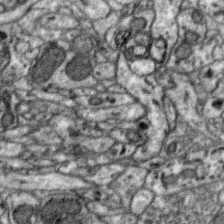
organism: Zebra finch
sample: Brain